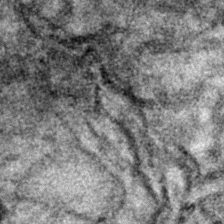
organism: Zebrafish